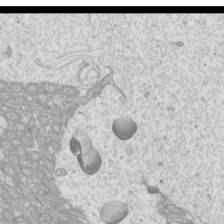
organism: Mouse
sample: Cilia; mouse epididymis